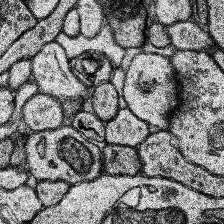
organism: Human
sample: Temporal Lobe